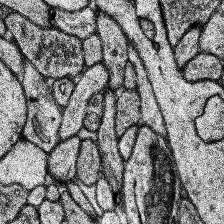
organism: Human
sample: Temporal Lobe